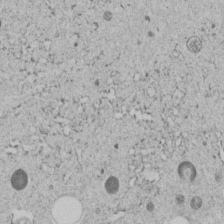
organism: C. elegans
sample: C. elegans embryo early stage